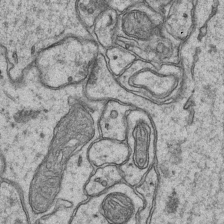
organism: Mouse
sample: CA1 Hippocampus